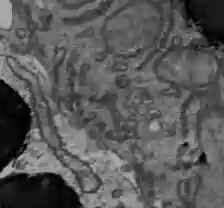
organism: C57BL Mouse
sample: Liver